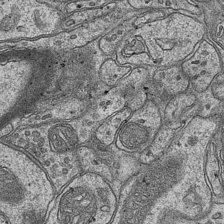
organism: Mouse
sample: CA1 Hippocampus